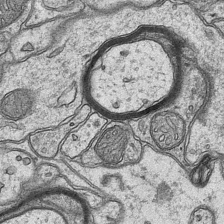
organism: Mouse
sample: CA1 Hippocampus